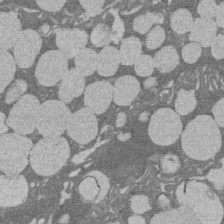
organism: Rat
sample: Salivary granule